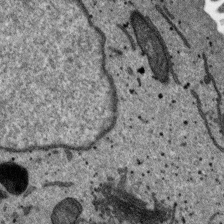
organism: Human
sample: Lung epithelial cells, uninfected (mock) control